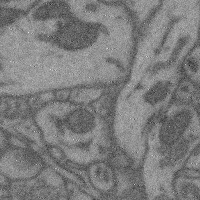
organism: Mouse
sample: Cerebral cortex